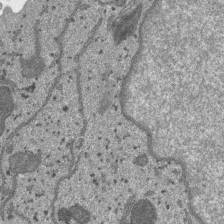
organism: Human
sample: Lung epithelial cells infected with SARS-CoV-2